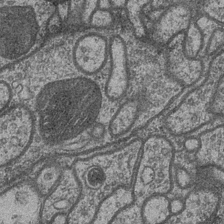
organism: Drosophila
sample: Optic medulla